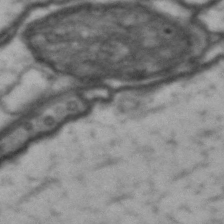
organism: Drosophila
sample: Brain